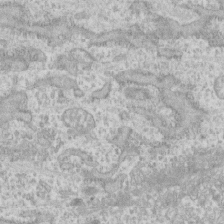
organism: Human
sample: CRL-1474